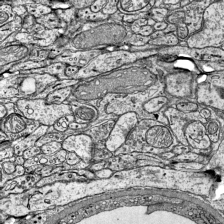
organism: Mouse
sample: Visual Cortex